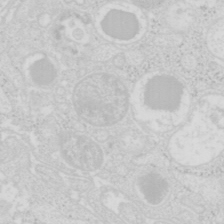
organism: Mouse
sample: Pancreas